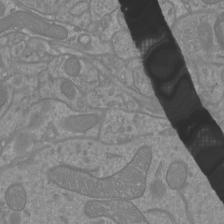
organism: Mouse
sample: Cortical neurons